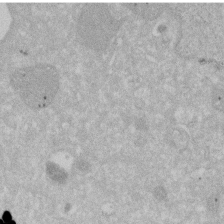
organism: Human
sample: HIV infected U937 cells